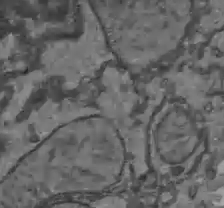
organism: C57BL Mouse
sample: Liver